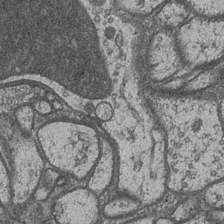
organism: Drosophila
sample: Optic medulla